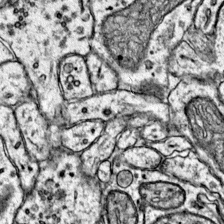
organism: Mouse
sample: Primary visual cortex